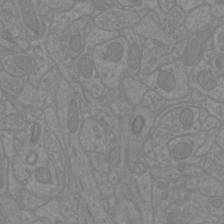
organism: Mouse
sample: Cortical neurons